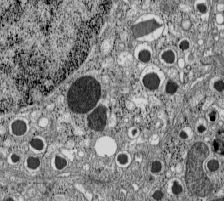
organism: C57BL Mouse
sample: Pancreatic islet